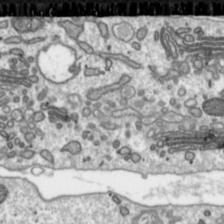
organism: Toxoplasma gondii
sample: Parasites in a vacuole inside a host cell